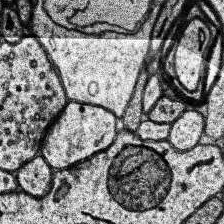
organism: Human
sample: Temporal Lobe